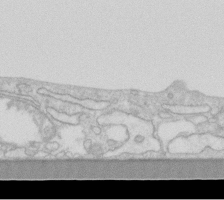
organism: Human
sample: Fibroblast cells